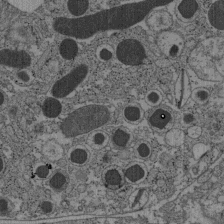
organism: C57BL Mouse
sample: Pancreatic islet